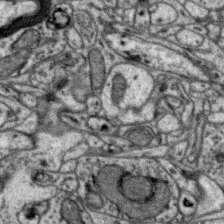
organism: Zebra finch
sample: Brain